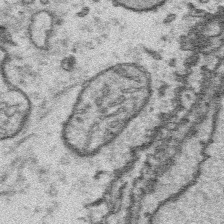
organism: Platynereis dumerilii